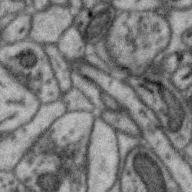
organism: Zebra finch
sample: Brain